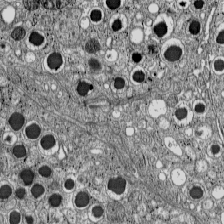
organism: C57BL Mouse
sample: Pancreatic islet